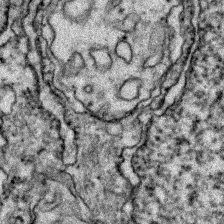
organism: Zebrafish